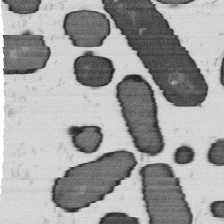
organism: B. subtilis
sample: Bacterial spore